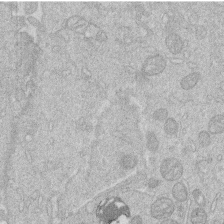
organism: Human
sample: Macrophage cells